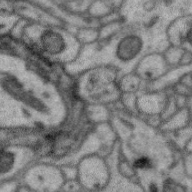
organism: Zebra finch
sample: Brain